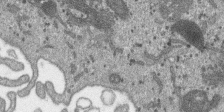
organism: Human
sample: Lung epithelial cells infected with SARS-CoV-2